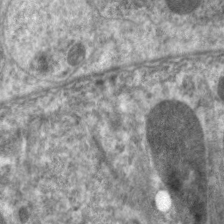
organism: C. elegans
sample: Pharynx